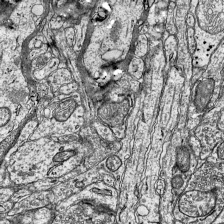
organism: Mouse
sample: Visual Cortex